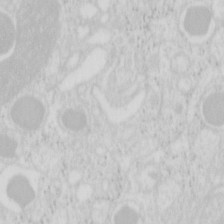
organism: Mouse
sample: Pancreas